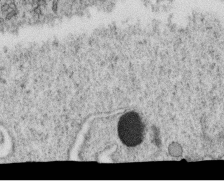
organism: C. elegans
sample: C. elegans oocyte; sperm cells